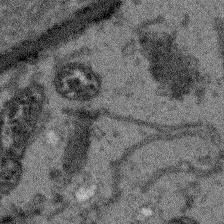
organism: Arabidopsis thaliana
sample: Root tip